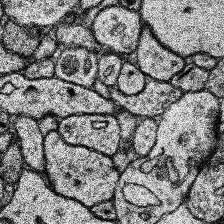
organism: Human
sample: Temporal Lobe